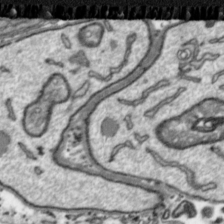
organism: Toxoplasma gondii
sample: Parasites in a vacuole inside a host cell